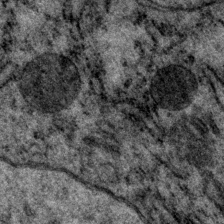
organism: P. pacificus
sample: Pharynx